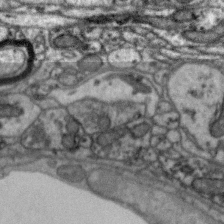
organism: Zebra finch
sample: Brain